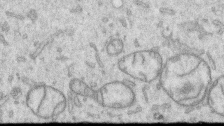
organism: Human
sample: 1205lu cells